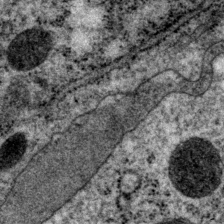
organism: P. pacificus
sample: Pharynx